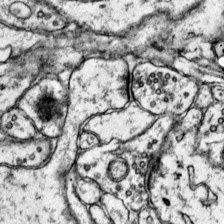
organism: Mouse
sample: Primary visual cortex